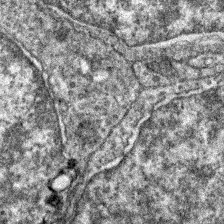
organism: Zebrafish